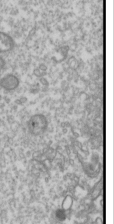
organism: Drosophila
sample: Cell division; meiosis; drosophila spermatocytes